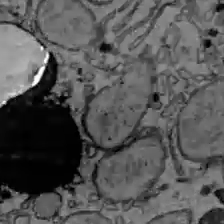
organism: C57BL Mouse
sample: Liver